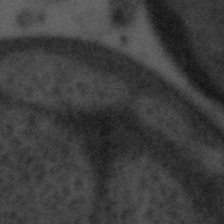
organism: Tuwongella immobilis